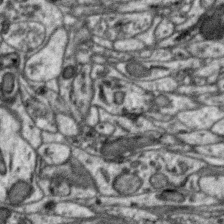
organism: Zebra finch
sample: Brain